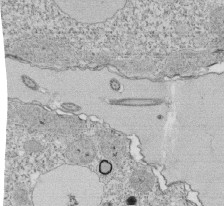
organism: Tetrahymena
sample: Cilia in tetrahymena